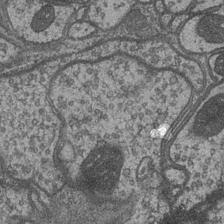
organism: Drosophila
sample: Optic medulla